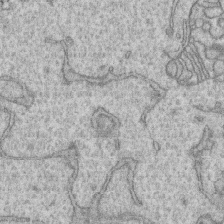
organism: Human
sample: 1205lu cells